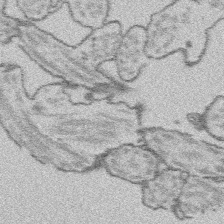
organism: Platynereis dumerilii